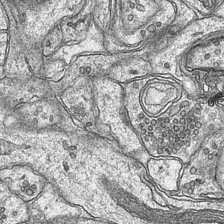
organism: Mouse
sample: CA1 Hippocampus